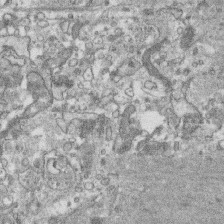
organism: Human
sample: CRL-1474